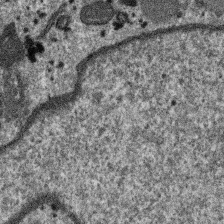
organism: Human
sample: Lung epithelial cells infected with SARS-CoV-2